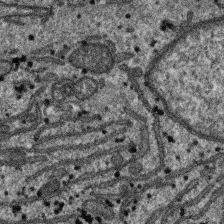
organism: Human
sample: Lung epithelial cells infected with SARS-CoV-2